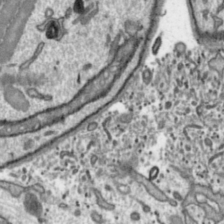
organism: Toxoplasma gondii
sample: Parasites in a vacuole inside a host cell